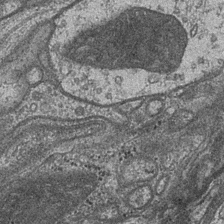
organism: Drosophila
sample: Optic medulla